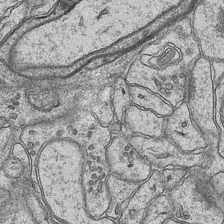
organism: Mouse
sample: CA1 Hippocampus